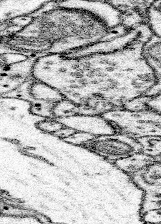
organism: Mouse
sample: Somatosensory cortex neuropil